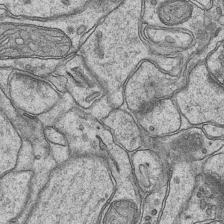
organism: Mouse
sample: CA1 Hippocampus